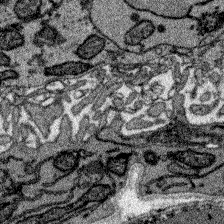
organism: Zebrafish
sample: Larval olfactory bulb